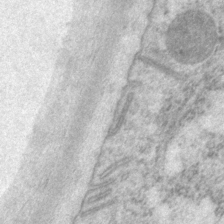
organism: P. pacificus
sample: Pharynx